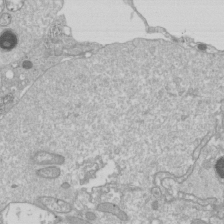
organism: Drosophila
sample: Cell division; meiosis; drosophila spermatocytes